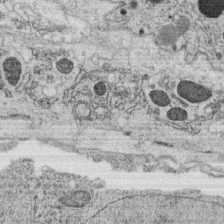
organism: C. elegans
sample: C. elegans oocyte; sperm cells